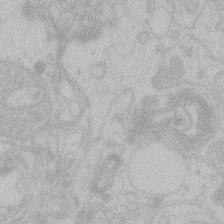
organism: Zebrafish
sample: Macrophage infected with Toxoplasma gondii